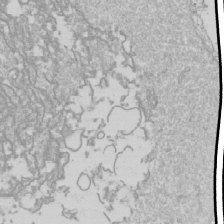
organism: Drosophila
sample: Cell division; meiosis; drosophila spermatocytes